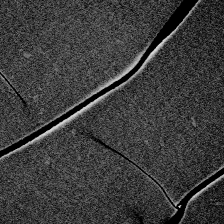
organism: Zebrafish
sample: Whole-Brain